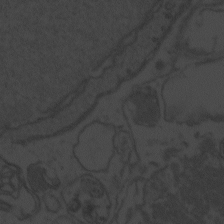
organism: Zebrafish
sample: Macrophage infected with Toxoplasma gondii